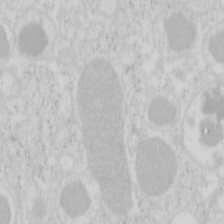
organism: Mouse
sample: Pancreas